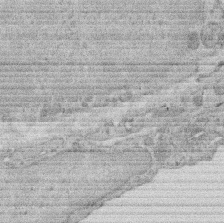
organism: Rat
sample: Salivary granule